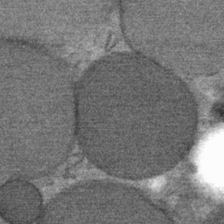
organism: Mouse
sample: Mouse Salivary gland